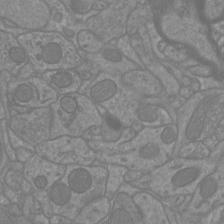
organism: Mouse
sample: Cortical neurons